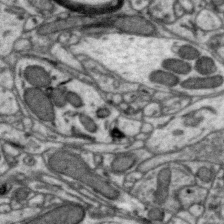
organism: Zebra finch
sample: Brain